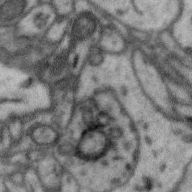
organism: Zebra finch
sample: Brain